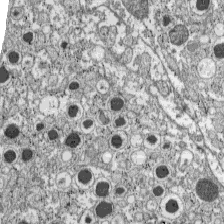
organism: C57BL Mouse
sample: Pancreatic islet